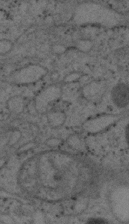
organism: Human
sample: HeLa cells